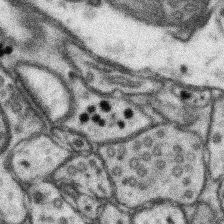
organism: Mouse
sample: Somatosensory cortex neuropil